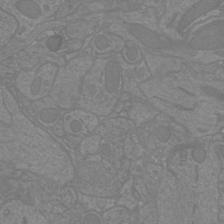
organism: Mouse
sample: Cortical neurons